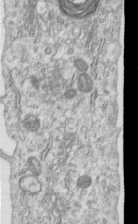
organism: Human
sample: Centriole in RPE cells